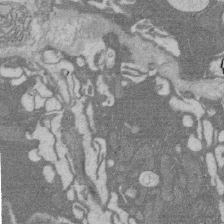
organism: Rat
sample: Salivary granule